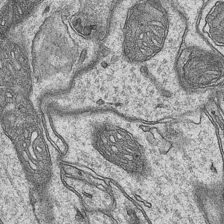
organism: Mouse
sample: CA1 Hippocampus